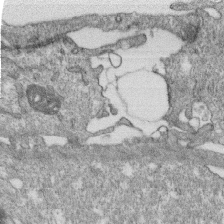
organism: African green monkey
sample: Vero E6 cells infected with SARS-CoV-2